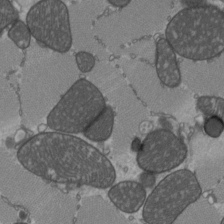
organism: C57BL Mouse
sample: Heart